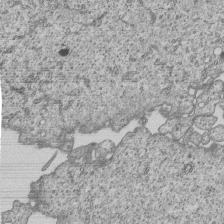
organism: Human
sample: MDA-MB-231 cells